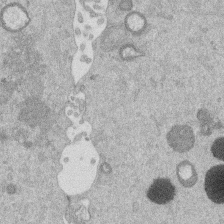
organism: Mouse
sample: Dividing mouse embryo 1 cell stage